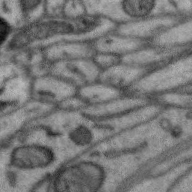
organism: Zebra finch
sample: Brain